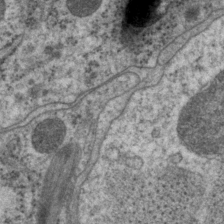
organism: P. pacificus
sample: Pharynx